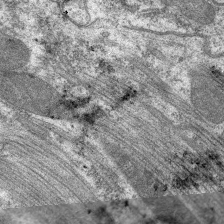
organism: C. elegans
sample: Pharynx